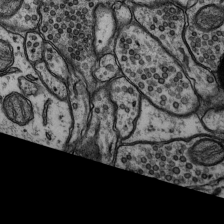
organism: Rat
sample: Hippocampus